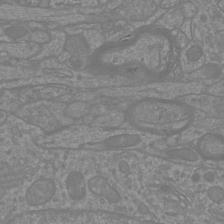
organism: Mouse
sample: Cortical neurons